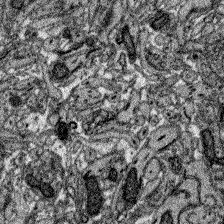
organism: Zebrafish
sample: Larval olfactory bulb